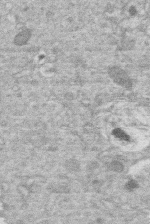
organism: Human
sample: Macrophage cells